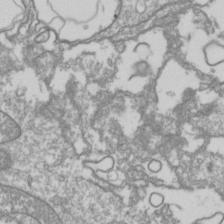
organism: Drosophila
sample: Cell division; meiosis; drosophila spermatocytes